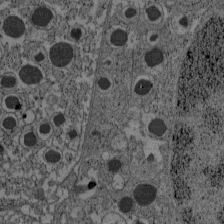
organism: C57BL Mouse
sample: Pancreatic islet